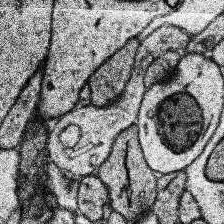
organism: Human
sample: Temporal Lobe